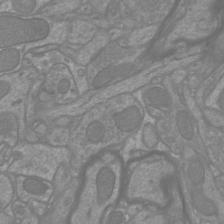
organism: Mouse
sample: Cortical neurons